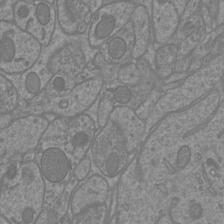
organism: Mouse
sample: Cortical neurons